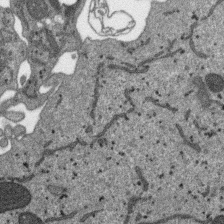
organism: Human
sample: Lung epithelial cells infected with SARS-CoV-2